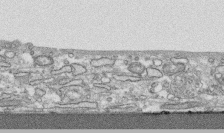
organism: Human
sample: CRL-1474